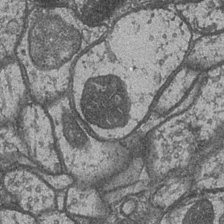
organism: Drosophila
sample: Optic medulla